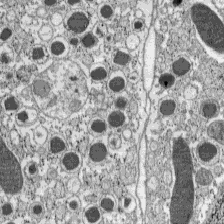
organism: C57BL Mouse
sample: Pancreatic islet